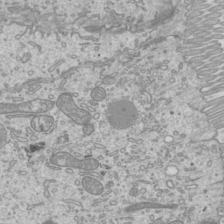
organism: Mouse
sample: Cilia; mouse epididymis